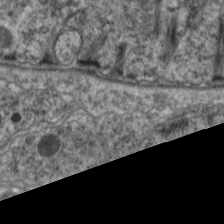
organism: C. elegans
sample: Pharynx